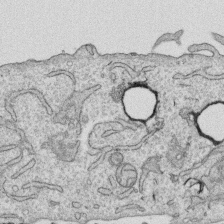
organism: Human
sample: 1205lu cells